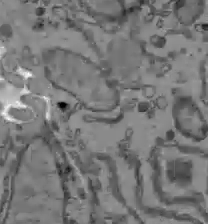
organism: C57BL Mouse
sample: Liver